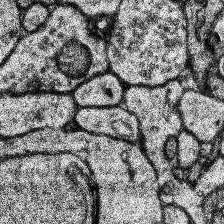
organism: Human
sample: Temporal Lobe